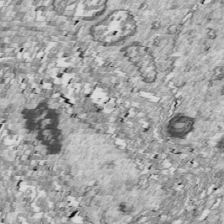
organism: Drosophila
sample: Cell division; meiosis; drosophila spermatocytes